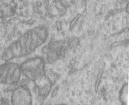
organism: Human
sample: Centriole in RPE cells